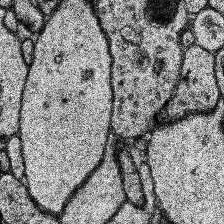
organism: Human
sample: Temporal Lobe